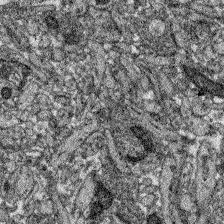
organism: Zebrafish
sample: Larval olfactory bulb